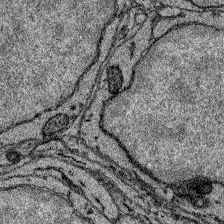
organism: Zebrafish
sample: Larval olfactory bulb